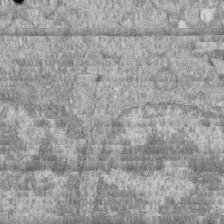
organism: Zebrafish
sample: Cilia; retinal pigment epithelium